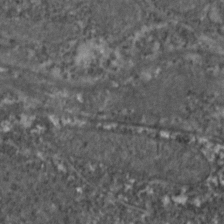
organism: Zebrafish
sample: Zebrafish embryo